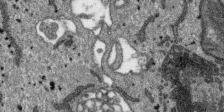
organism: Human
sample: Lung epithelial cells, uninfected (mock) control